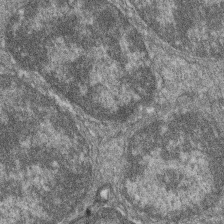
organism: Zebrafish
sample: Cilia; retinal pigment epithelium